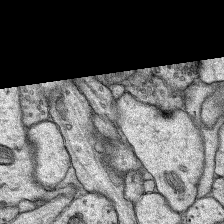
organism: Rat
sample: Hippocampus